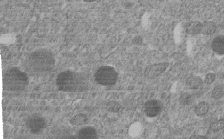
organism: C. elegans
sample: C. elegans embryo early stage